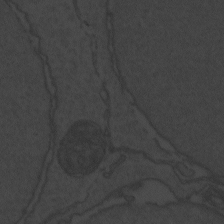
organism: Zebrafish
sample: Macrophage infected with Toxoplasma gondii